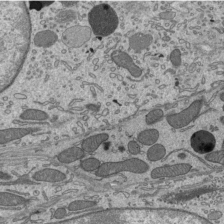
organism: Mouse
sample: Mouse epididymis efferent ductule cilia